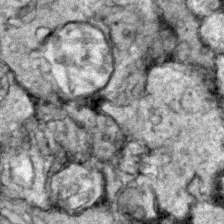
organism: Zebrafish